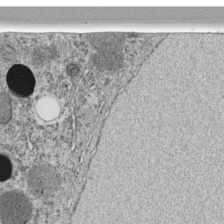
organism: C. elegans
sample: C. elegans embryo early stage